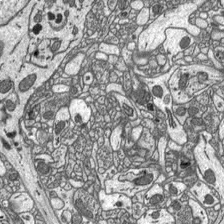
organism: C57BL Mouse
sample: Optic nerve head